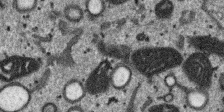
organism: Human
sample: Lung epithelial cells infected with SARS-CoV-2